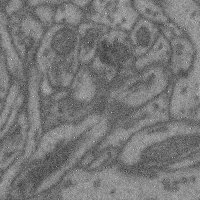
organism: Mouse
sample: Cerebral cortex